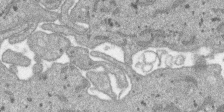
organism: Human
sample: Lung epithelial cells infected with SARS-CoV-2